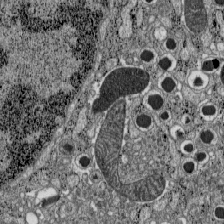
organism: C57BL Mouse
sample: Pancreatic islet